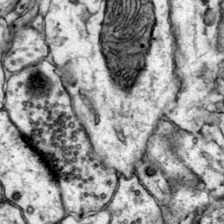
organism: Mouse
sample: Primary visual cortex